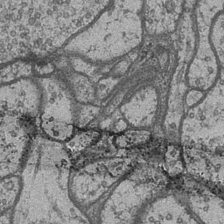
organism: Drosophila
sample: Optic medulla